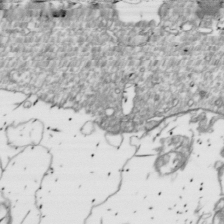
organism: Drosophila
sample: Cell division; meiosis; drosophila spermatocytes